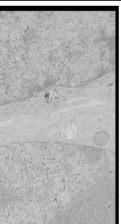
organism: Human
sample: Mitochondria in HCT116 cells